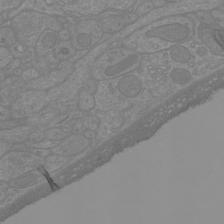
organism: Mouse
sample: Cortical neurons